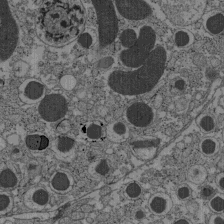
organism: C57BL Mouse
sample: Pancreatic islet